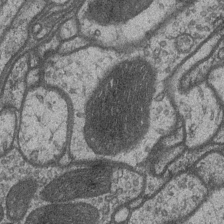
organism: Drosophila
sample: Optic medulla